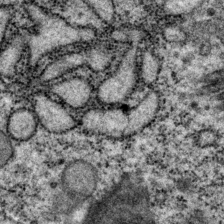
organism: P. pacificus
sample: Pharynx